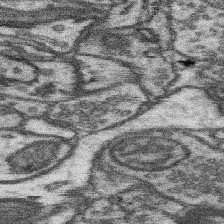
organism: Mouse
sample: Somatosensory cortex neuropil